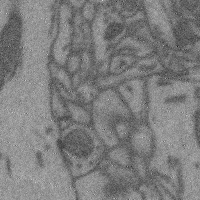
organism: Mouse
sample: Cerebral cortex